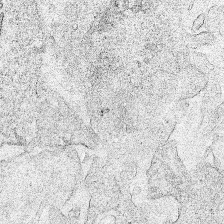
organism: Human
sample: Mitochondria in HCT116 cells